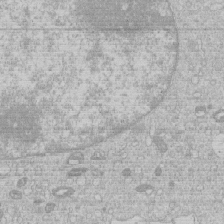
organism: Human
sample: Macrophage cells